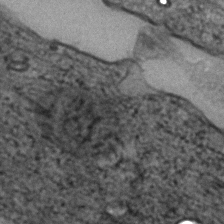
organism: Zebrafish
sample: Zebrafish embryo